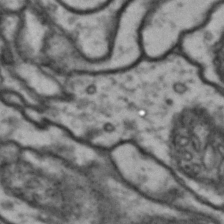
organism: Drosophila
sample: Brain